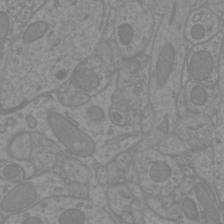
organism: Mouse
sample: Cortical neurons